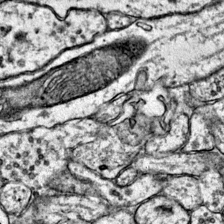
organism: Mouse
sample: Primary visual cortex